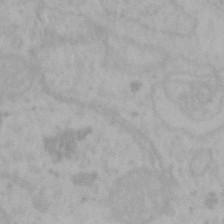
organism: Mouse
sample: Choroid plexus